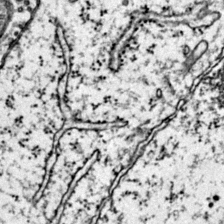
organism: Mouse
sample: Primary visual cortex